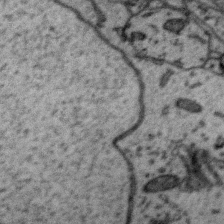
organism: Zebra finch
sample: Brain